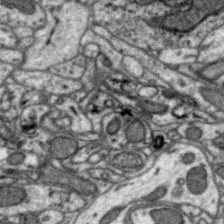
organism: Zebra finch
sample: Brain